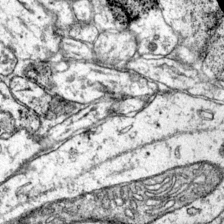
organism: Mouse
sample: Primary visual cortex